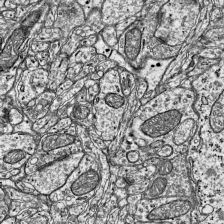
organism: Mouse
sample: Visual Cortex